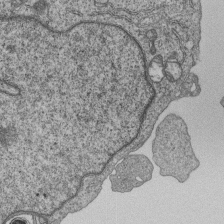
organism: Human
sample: MDA-MB-231 cells